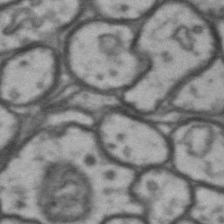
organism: Drosophila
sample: Brain